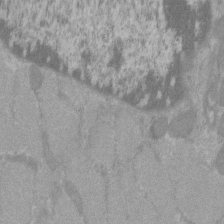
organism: C57BL Mouse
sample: Tibialis anterior muscle cell